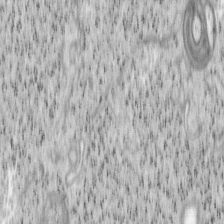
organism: Human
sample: HeLa cells